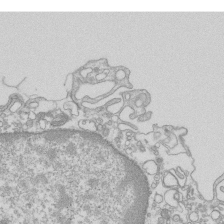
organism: Mouse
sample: Macrophages